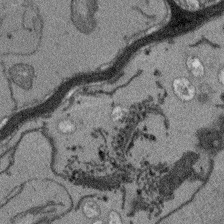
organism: Arabidopsis thaliana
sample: Root tip